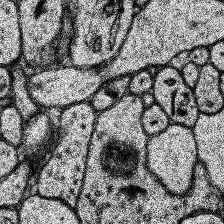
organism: Human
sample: Temporal Lobe